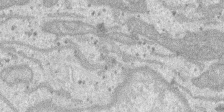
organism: Human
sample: Lung epithelial cells infected with SARS-CoV-2